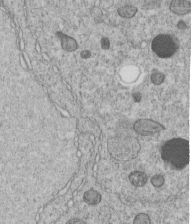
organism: C. elegans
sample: C. elegans embryo early stage